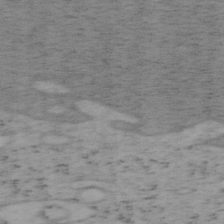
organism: Mouse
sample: OT-I killer T cells with ID8 ovarian cancer cells